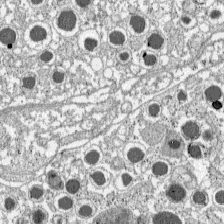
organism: C57BL Mouse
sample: Pancreatic islet